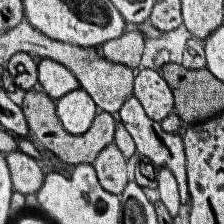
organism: Human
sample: Temporal Lobe